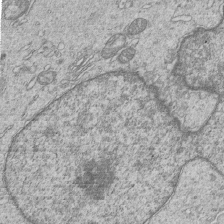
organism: Human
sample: MDA-MB-231 cells